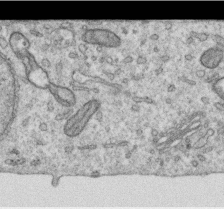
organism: Human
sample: Centriole in RPE cells